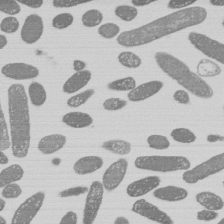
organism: E. coli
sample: Bacterial nucleoid